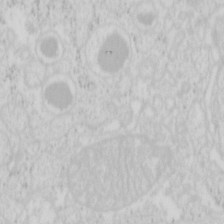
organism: Mouse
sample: Pancreas